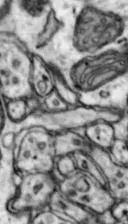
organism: Mouse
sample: Nucleus accumbens